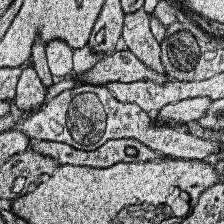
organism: Human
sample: Temporal Lobe